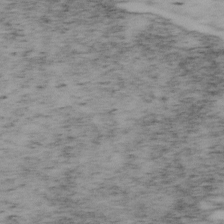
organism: Mouse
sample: OT-I killer T cells with ID8 ovarian cancer cells